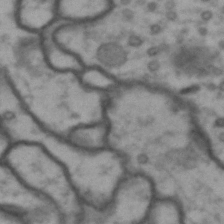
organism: Drosophila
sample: Brain